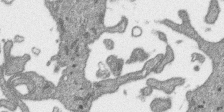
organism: Human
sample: Lung epithelial cells infected with SARS-CoV-2